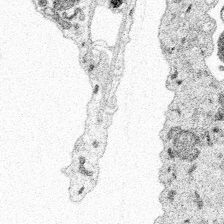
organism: Spongilla lacustris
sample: Multiple